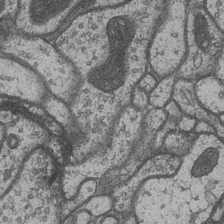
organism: Drosophila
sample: Optic medulla